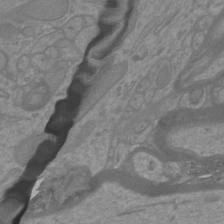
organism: Mouse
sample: Cortical neurons